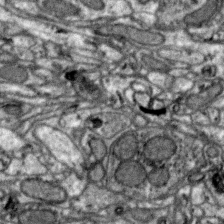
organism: Zebra finch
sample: Brain